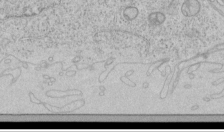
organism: Human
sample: Mitochondria in HCT116 cells